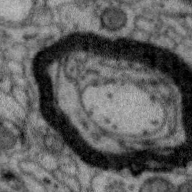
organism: Zebra finch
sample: Brain